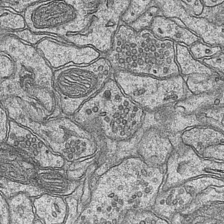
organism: Mouse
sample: CA1 Hippocampus